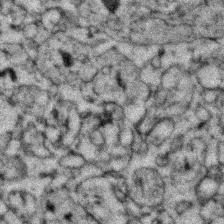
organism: Zebrafish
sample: Zebrafish embryo